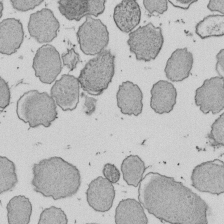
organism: E. coli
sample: Bacterial nucleoid